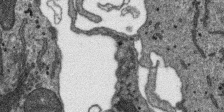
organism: Human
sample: Lung epithelial cells infected with SARS-CoV-2